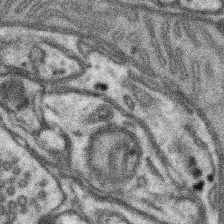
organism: Mouse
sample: Somatosensory cortex neuropil